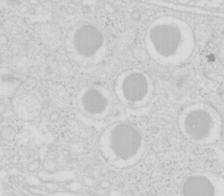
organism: Mouse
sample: Pancreas